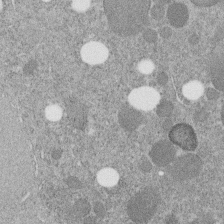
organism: C. elegans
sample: C. elegans embryo early stage